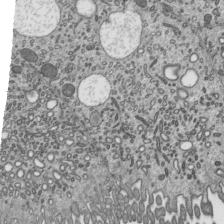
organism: Mouse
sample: Mouse epididymis efferent ductule cilia